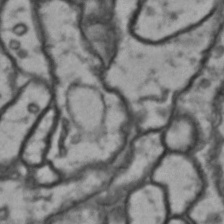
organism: Drosophila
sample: Brain